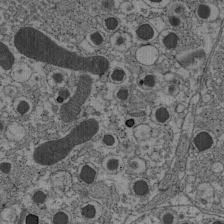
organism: C57BL Mouse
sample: Pancreatic islet